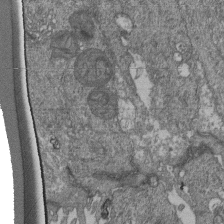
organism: Human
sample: Retinal organoid Rod and Cone cells